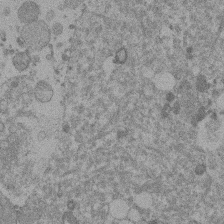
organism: Mouse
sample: Dividing mouse embryo 1 cell stage